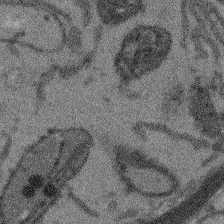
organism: Arabidopsis thaliana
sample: Root tip